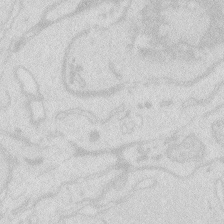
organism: Zebrafish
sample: Macrophage